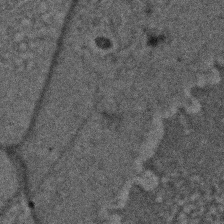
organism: Zebrafish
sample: Zebrafish embryo